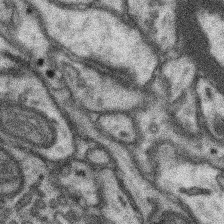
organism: Mouse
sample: Somatosensory cortex neuropil